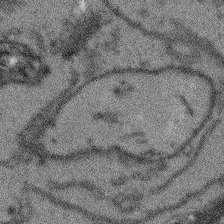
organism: Arabidopsis thaliana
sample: Root tip